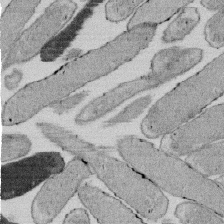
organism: E. coli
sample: Bacterial nucleoid